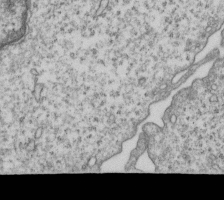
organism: Human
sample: MDA-MB-231 cells